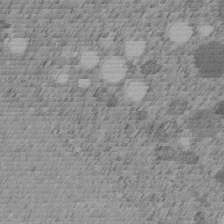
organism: C. elegans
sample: C. elegans embryo early stage